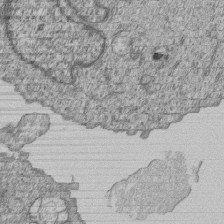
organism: Human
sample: MDA-MB-231 cells